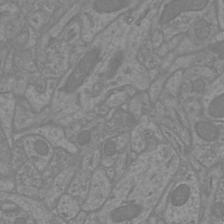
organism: Mouse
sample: Cortical neurons